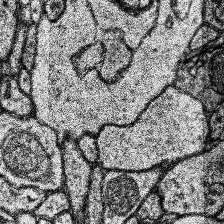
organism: Human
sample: Temporal Lobe